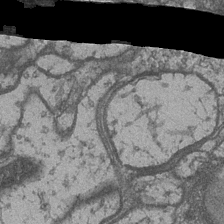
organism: Drosophila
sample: Optic medulla